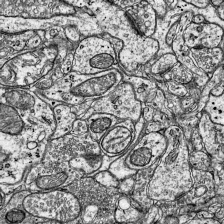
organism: Mouse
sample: Visual Cortex